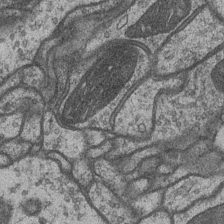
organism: Drosophila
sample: Optic medulla